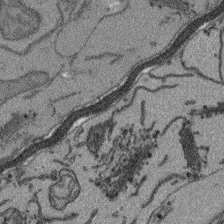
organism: Arabidopsis thaliana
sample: Root tip